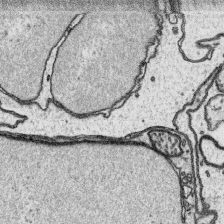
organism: Platynereis dumerilii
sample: Parapodia